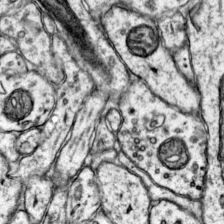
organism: Mouse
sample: Primary visual cortex